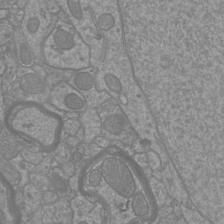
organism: Mouse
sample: Cortical neurons